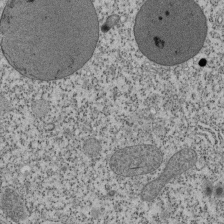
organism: Tetrahymena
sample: Cilia in tetrahymena